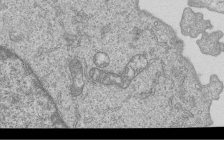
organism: Human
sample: MDA-MB-231 cells